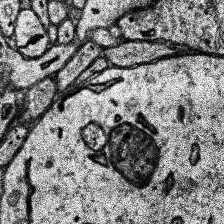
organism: Human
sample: Temporal Lobe